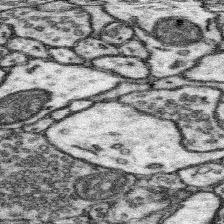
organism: Mouse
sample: Somatosensory cortex neuropil